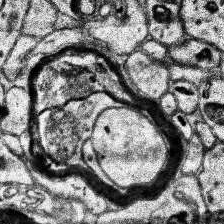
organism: Human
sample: Temporal Lobe